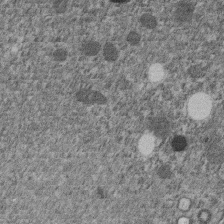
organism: C. elegans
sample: C. elegans embryo early stage